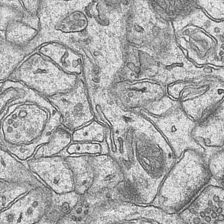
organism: Mouse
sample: CA1 Hippocampus